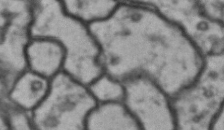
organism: Drosophila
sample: Brain